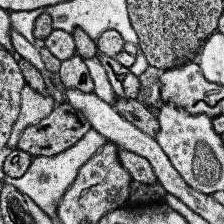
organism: Human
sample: Temporal Lobe